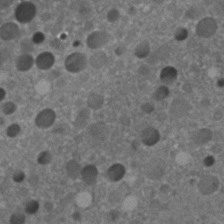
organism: C. elegans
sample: C. elegans embryo